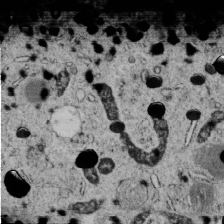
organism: C. elegans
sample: C. elegans embryo early stage